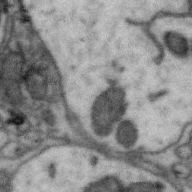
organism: Zebra finch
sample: Brain